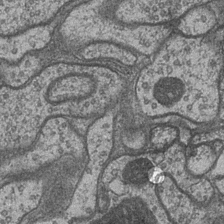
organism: Drosophila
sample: Optic medulla